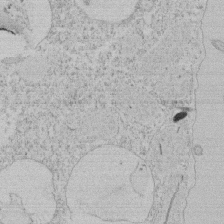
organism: Tetrahymena